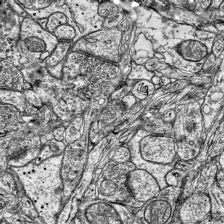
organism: Mouse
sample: Visual Cortex